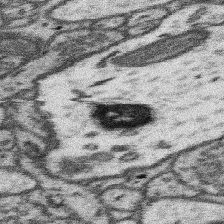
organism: Mouse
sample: Somatosensory cortex neuropil